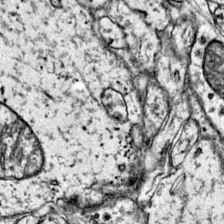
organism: Mouse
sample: Primary visual cortex